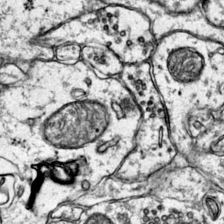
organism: Mouse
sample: Primary visual cortex